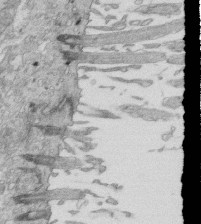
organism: Mouse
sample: Multiciliated cells